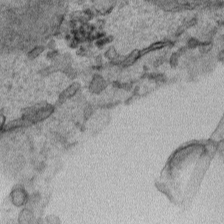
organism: Human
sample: Mitochondria in HCT116 cells